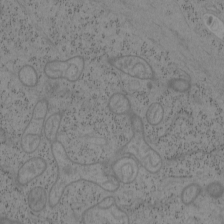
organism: Mouse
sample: OT-I killer T cells with ID8 ovarian cancer cells